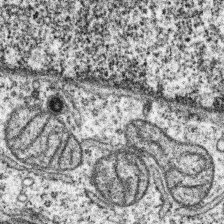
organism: Human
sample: HeLa cells